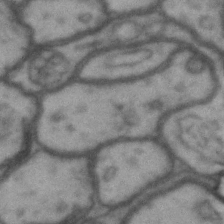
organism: Drosophila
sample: Brain